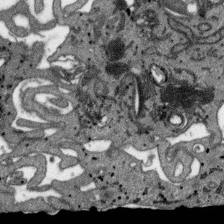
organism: Human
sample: Lung epithelial cells, uninfected (mock) control